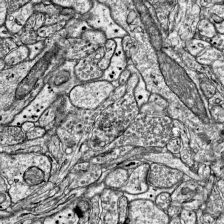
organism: Mouse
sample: Visual Cortex